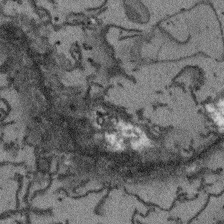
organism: Arabidopsis thaliana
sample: Root tip